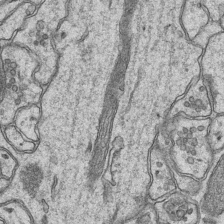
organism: Mouse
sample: CA1 Hippocampus